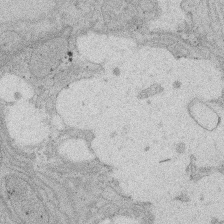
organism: Rat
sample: Salivary granule